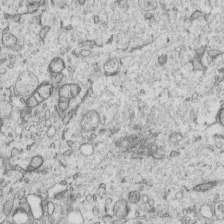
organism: Human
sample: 1205lu cells